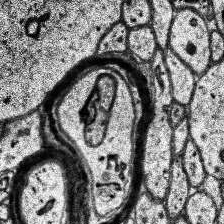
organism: Human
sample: Temporal Lobe